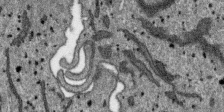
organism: Human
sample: Lung epithelial cells, uninfected (mock) control